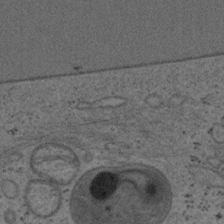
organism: Human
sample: HeLa cells